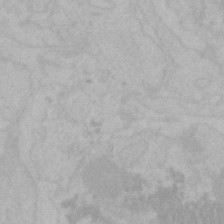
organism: Mouse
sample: Choroid plexus